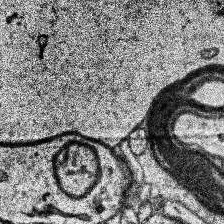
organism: Human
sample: Temporal Lobe